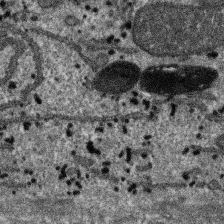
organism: Human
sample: Lung epithelial cells infected with SARS-CoV-2